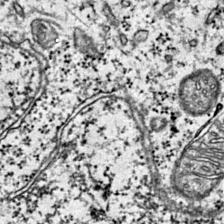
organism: Mouse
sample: Primary visual cortex